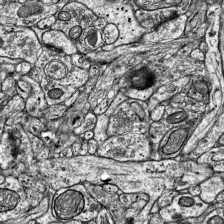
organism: Mouse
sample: Visual Cortex